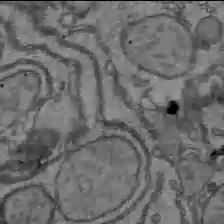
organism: C57BL Mouse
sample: Liver